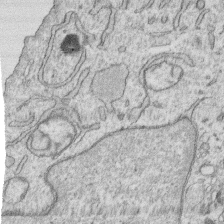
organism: Human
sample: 1205lu cells